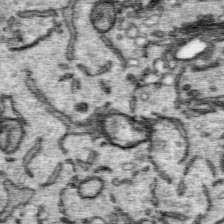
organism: Human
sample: HeLa cells